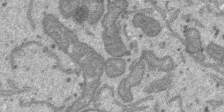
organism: Human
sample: Lung epithelial cells infected with SARS-CoV-2